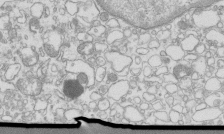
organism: Mouse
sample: Macrophages